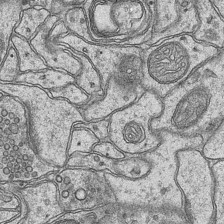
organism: Mouse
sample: CA1 Hippocampus